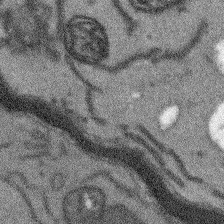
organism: Arabidopsis thaliana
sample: Root tip